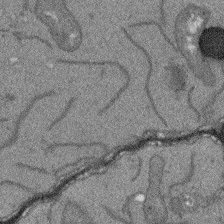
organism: Arabidopsis thaliana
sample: Root tip